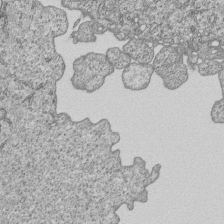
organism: Human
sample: MDA-MB-231 cells